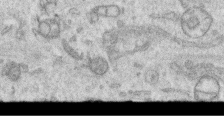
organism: Human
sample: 1205lu cells